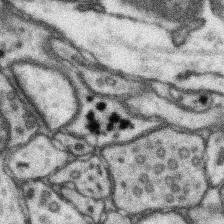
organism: Mouse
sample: Somatosensory cortex neuropil